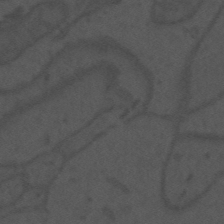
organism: Mouse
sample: Suprachiasmatic nucleus